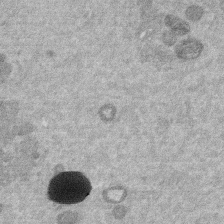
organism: Mouse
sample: Dividing mouse embryo 1 cell stage